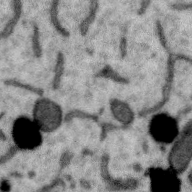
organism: Zebra finch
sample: Brain